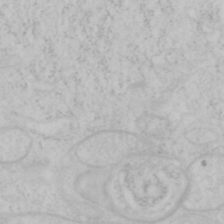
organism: Mouse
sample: OT-I killer T cells with ID8 ovarian cancer cells